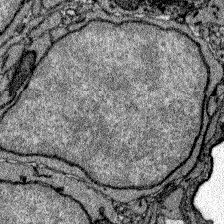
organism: Zebrafish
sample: Larval olfactory bulb